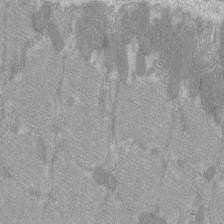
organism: C57BL Mouse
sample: Tibialis anterior muscle cell